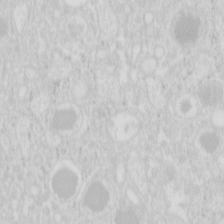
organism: Mouse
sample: Pancreas